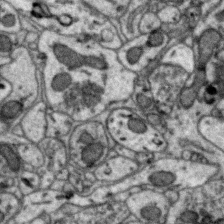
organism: Zebra finch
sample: Brain